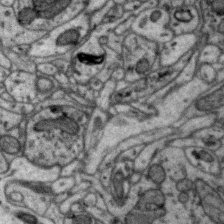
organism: Zebra finch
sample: Brain